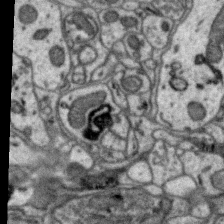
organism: Zebra finch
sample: Brain